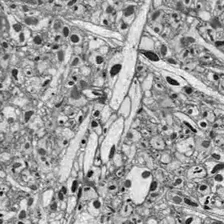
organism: Drosophila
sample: Optic lobe